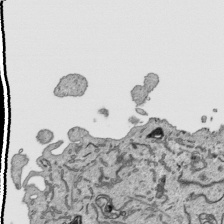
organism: Human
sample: Mitochondria in HCT116 cells